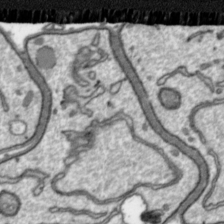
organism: Toxoplasma gondii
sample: Parasites in a vacuole inside a host cell